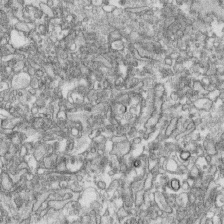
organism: Human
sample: CRL-1474